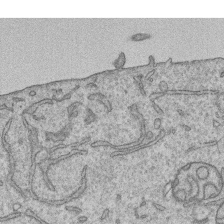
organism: Human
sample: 1205lu cells